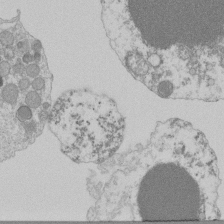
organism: Mouse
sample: Activated Pmel transgenic CD8+ T Cells